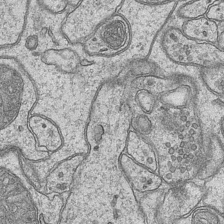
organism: Mouse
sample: CA1 Hippocampus